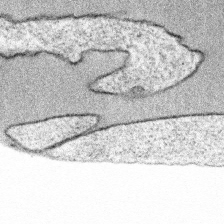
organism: Human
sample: HeLa cells